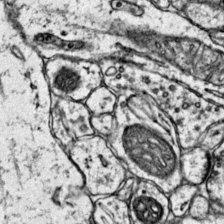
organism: Mouse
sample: Primary visual cortex